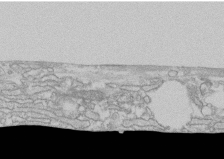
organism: Human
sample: CRL-1474